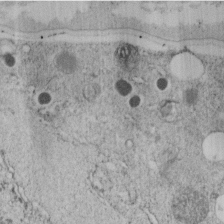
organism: C. elegans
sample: C. elegans embryo early stage